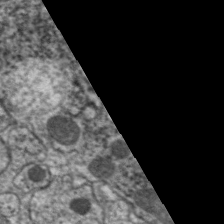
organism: C. elegans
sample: Pharynx